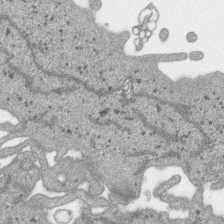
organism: Human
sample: Lung epithelial cells infected with SARS-CoV-2